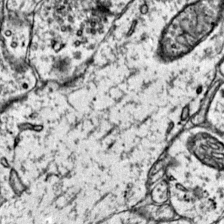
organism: Mouse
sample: Primary visual cortex